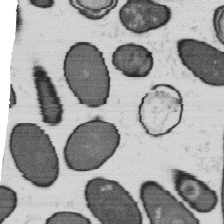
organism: B. subtilis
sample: Bacterial spore